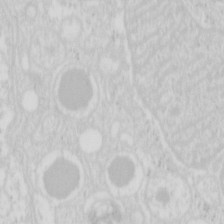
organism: Mouse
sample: Pancreas